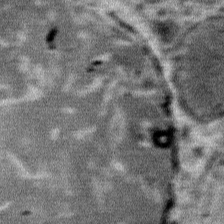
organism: Mouse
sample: Mouse Salivary gland